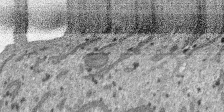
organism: Human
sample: Lung epithelial cells infected with SARS-CoV-2